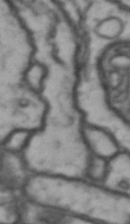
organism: Drosophila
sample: Brain